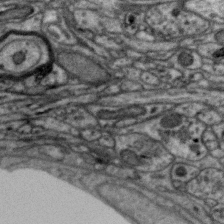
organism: Zebra finch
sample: Brain